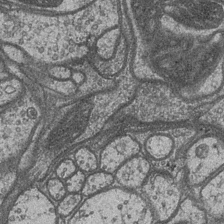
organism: Drosophila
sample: Optic medulla